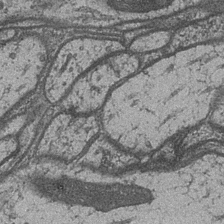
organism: Drosophila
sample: Optic medulla